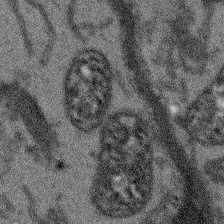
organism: Arabidopsis thaliana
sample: Root tip